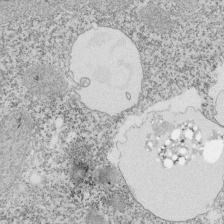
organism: Tetrahymena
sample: Cilia in tetrahymena